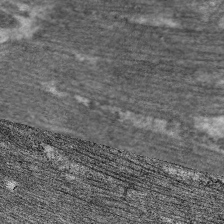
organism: C. elegans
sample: Pharynx